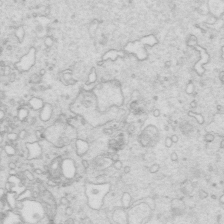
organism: Mouse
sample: Multiciliated cells